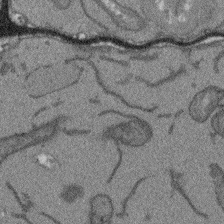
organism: Arabidopsis thaliana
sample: Root tip